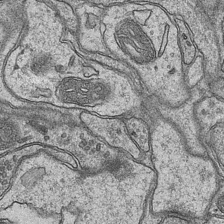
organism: Mouse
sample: CA1 Hippocampus